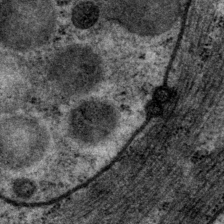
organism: P. pacificus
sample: Pharynx